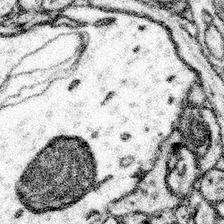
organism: Mouse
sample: Somatosensory cortex neuropil